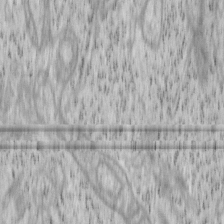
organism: Human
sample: HeLa cells